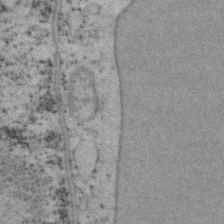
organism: Human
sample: HeLa cells